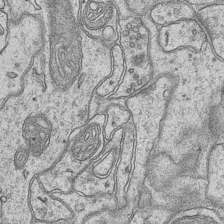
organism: Mouse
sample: CA1 Hippocampus